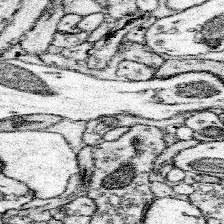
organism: Mouse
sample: Somatosensory cortex neuropil